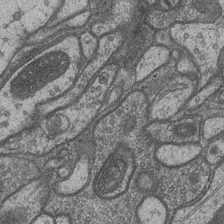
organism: Drosophila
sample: Optic medulla